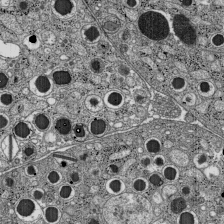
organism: C57BL Mouse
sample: Pancreatic islet